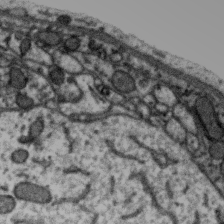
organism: Zebra finch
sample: Brain